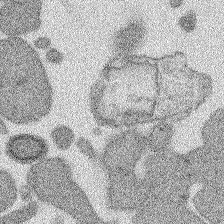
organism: Human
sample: HeLa cells